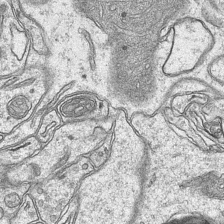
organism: Mouse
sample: CA1 Hippocampus